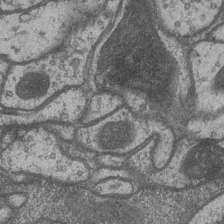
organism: Drosophila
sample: Optic medulla